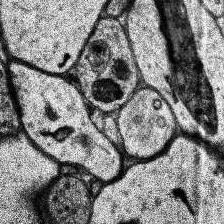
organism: Human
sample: Temporal Lobe